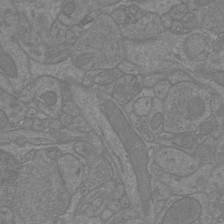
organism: Mouse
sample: Cortical neurons